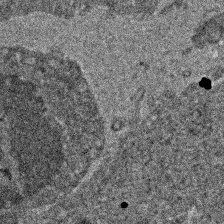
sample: Trachea